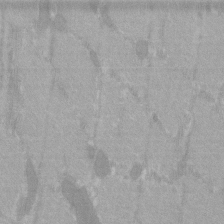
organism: C57BL Mouse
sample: Tibialis anterior muscle cell